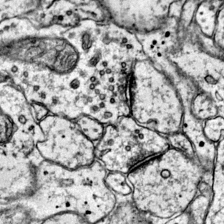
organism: Mouse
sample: Primary visual cortex